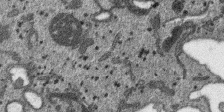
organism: Human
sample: Lung epithelial cells infected with SARS-CoV-2